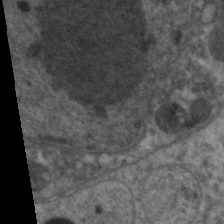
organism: C. elegans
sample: Pharynx